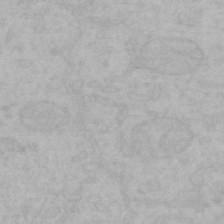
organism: Mouse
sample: Choroid plexus